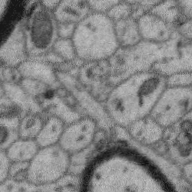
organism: Zebra finch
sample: Brain